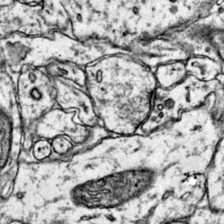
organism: Mouse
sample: Primary visual cortex